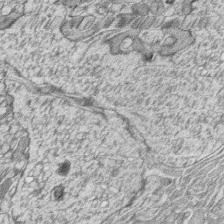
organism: Zebrafish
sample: synaptic ribbons in rod cells and cone cells